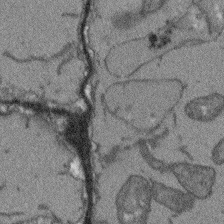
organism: Arabidopsis thaliana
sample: Root tip